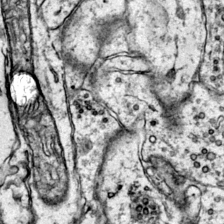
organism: Mouse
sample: Primary visual cortex